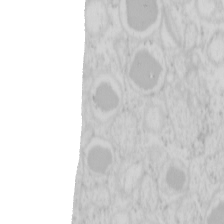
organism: Mouse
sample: Pancreas